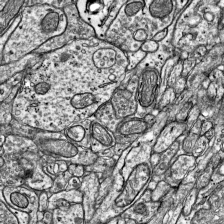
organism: Mouse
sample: Visual Cortex